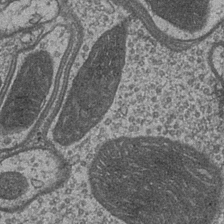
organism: Drosophila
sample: Optic medulla